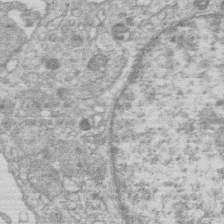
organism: Human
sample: Macrophage cells